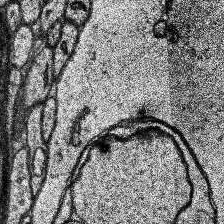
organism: Human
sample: Temporal Lobe